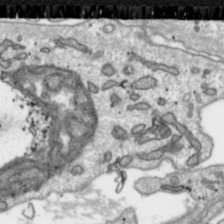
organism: Toxoplasma gondii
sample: Parasites in a vacuole inside a host cell